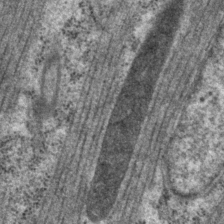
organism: P. pacificus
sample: Pharynx